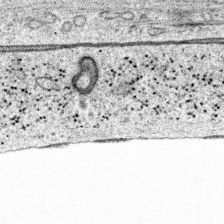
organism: Human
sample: HeLa cells